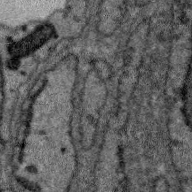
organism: Zebra finch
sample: Brain